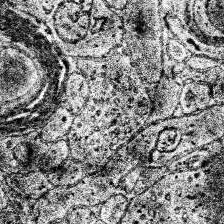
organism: Human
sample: Temporal Lobe